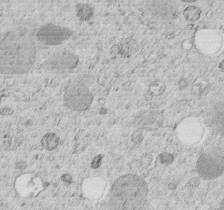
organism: C. elegans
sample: C. elegans embryo early stage